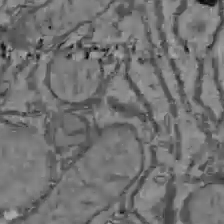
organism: C57BL Mouse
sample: Liver